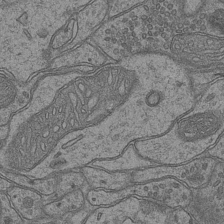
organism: Mouse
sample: CA1 Hippocampus